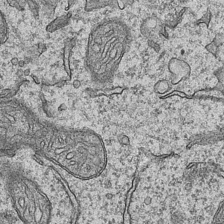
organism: Mouse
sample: CA1 Hippocampus